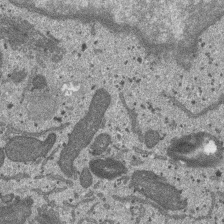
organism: Human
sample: Lung epithelial cells infected with SARS-CoV-2